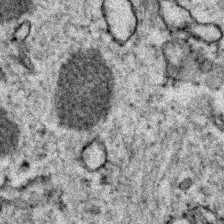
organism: Zebrafish